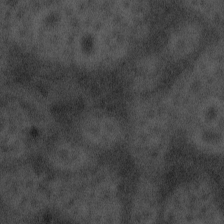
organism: Tuwongella immobilis